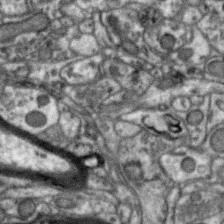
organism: Zebra finch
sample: Brain